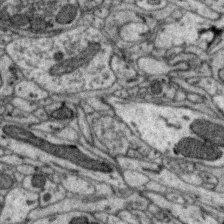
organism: Zebra finch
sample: Brain